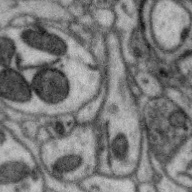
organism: Zebra finch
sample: Brain